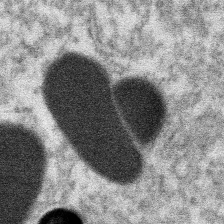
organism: Xenopus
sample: Cilia; centrioles in frog embryo cells